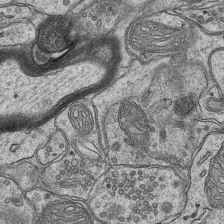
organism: Mouse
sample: CA1 Hippocampus